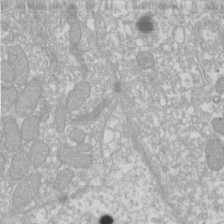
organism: Xenopus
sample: Cilia; centrioles in frog embryo cells